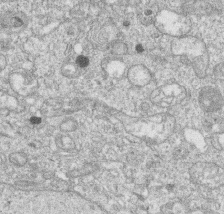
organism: Human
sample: HeLa cell HIV synapse